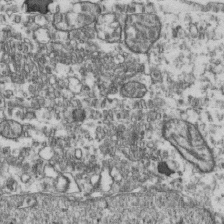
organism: Human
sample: Activated Jurkat CD4+ T cells